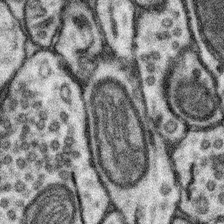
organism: Mouse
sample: Somatosensory cortex neuropil